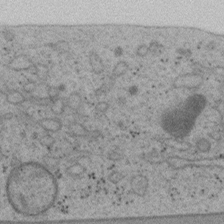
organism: Human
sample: HeLa cells